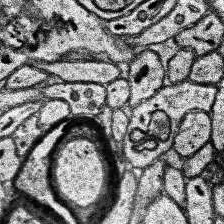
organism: Human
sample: Temporal Lobe